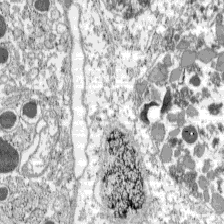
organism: C57BL Mouse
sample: Pancreatic islet